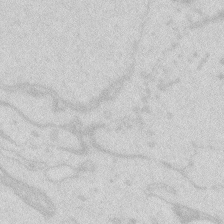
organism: Zebrafish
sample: Macrophage